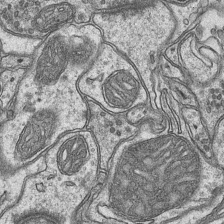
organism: Mouse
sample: CA1 Hippocampus